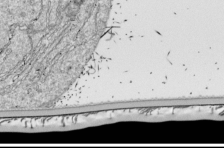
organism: Drosophila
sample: Cell division; meiosis; drosophila spermatocytes